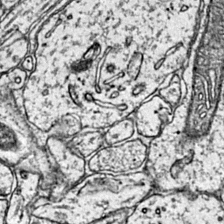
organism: Mouse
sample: Primary visual cortex